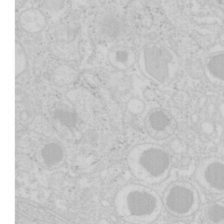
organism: Mouse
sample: Pancreas